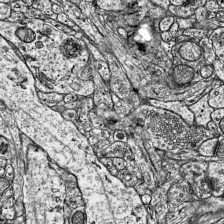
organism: Mouse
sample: Visual Cortex